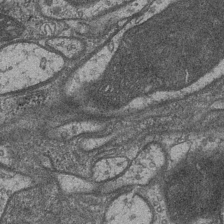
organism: Drosophila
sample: Optic medulla